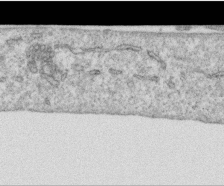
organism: Human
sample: Centriole in RPE cells